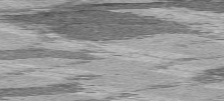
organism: C57BL Mouse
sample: Heart